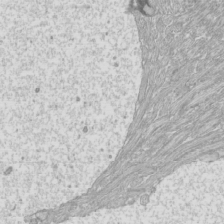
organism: Mouse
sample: Cilia; mouse epididymis